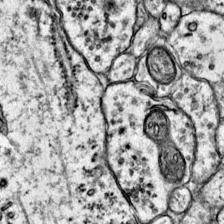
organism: Mouse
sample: Primary visual cortex